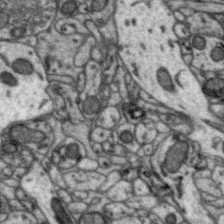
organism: Zebra finch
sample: Brain